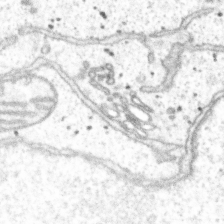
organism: Human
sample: HeLa cells